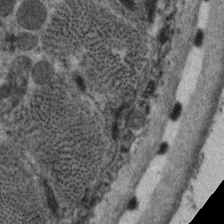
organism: C. elegans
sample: Pharynx